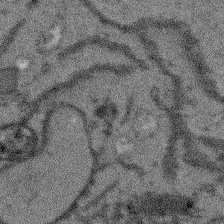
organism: Arabidopsis thaliana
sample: Root tip